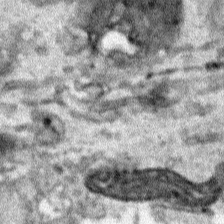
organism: Human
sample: Mitochondria in HCT116 cells